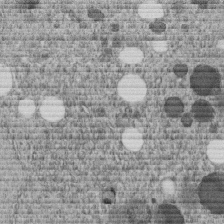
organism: C. elegans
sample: C. elegans embryo early stage